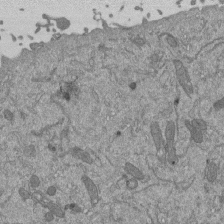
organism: Mouse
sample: ED-1 cell nuclei; centrioles